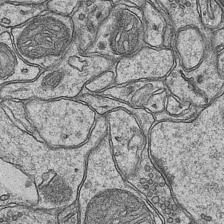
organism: Mouse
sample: CA1 Hippocampus